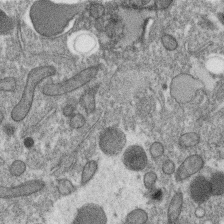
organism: C. elegans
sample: C. elegans oocyte; sperm cells